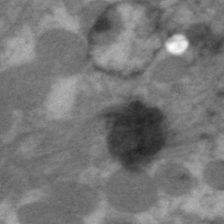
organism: C. elegans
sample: Pharynx